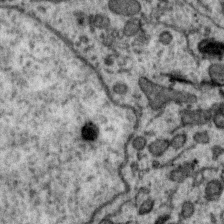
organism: Zebra finch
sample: Brain